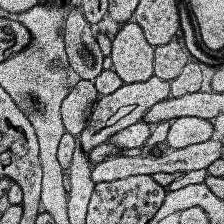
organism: Human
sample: Temporal Lobe